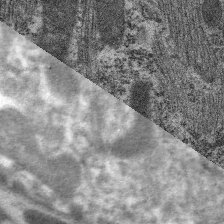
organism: C. elegans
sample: Pharynx